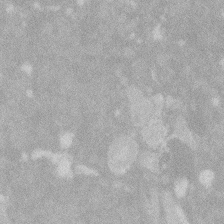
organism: Zebrafish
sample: Macrophage